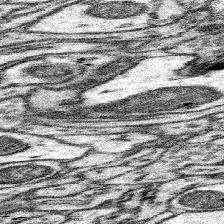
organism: Mouse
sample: Somatosensory cortex neuropil